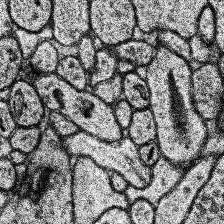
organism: Human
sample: Temporal Lobe